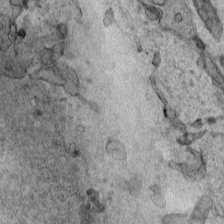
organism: Human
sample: Mitochondria in HCT116 cells